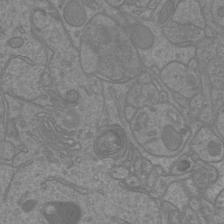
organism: Mouse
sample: Cortical neurons